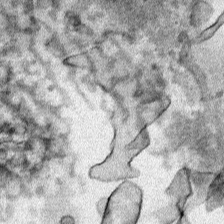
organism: Human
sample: Mitochondria in HCT116 cells